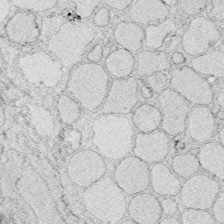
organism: Zebrafish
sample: Whole-Brain